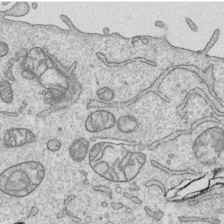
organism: Human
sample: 1205lu cells